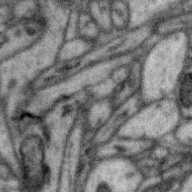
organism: Zebra finch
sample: Brain